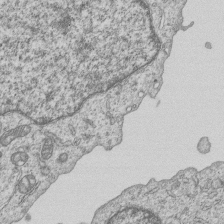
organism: Human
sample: MDA-MB-231 cells